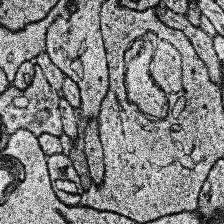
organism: Human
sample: Temporal Lobe